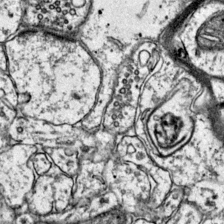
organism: Mouse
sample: Primary visual cortex